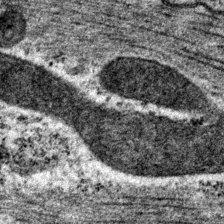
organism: P. pacificus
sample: Pharynx